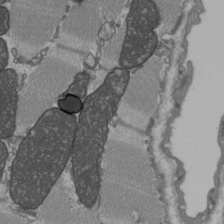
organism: C57BL Mouse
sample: Heart